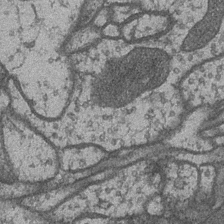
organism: Drosophila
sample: Optic medulla